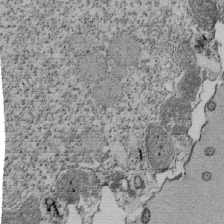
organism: Tetrahymena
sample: Cilia in tetrahymena